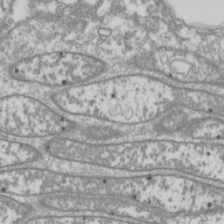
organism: Drosophila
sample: Cell division; meiosis; drosophila spermatocytes